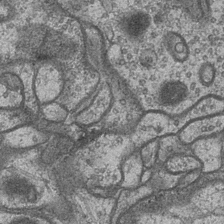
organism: Drosophila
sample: Optic medulla